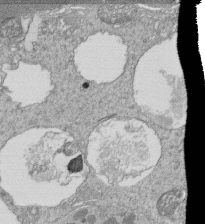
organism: Tetrahymena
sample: Cilia in tetrahymena